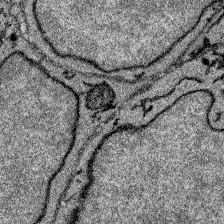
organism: Zebrafish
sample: Larval olfactory bulb